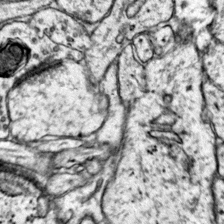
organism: Mouse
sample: Primary visual cortex